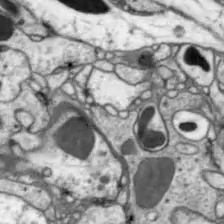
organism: Drosophila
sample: Optic lobe